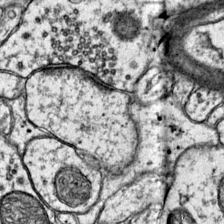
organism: Mouse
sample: Primary visual cortex